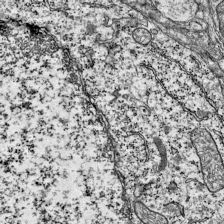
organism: Mouse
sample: Visual Cortex